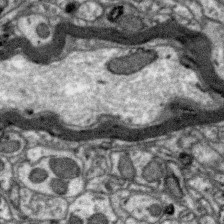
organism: Zebra finch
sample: Brain